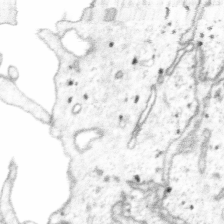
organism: Human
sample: HeLa cells